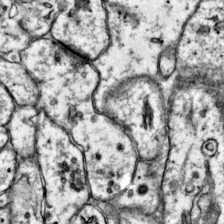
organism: Mouse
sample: Primary visual cortex